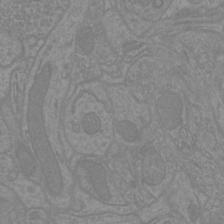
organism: Mouse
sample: Cortical neurons